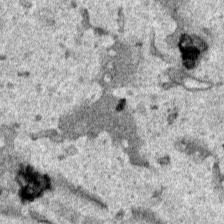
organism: Human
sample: Mitochondria in HCT116 cells